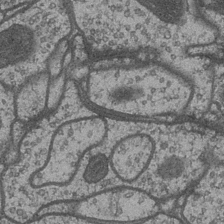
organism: Drosophila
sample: Optic medulla